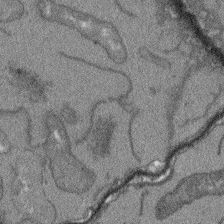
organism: Arabidopsis thaliana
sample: Root tip